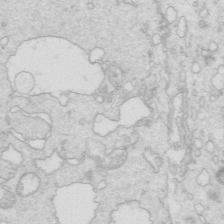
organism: Mouse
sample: Multiciliated cells